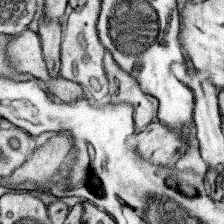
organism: Mouse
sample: Somatosensory cortex neuropil